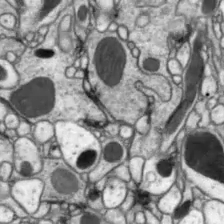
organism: Drosophila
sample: Optic lobe